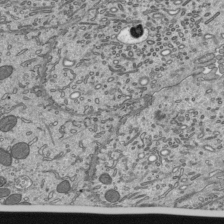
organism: Mouse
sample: Mouse epididymis efferent ductule cilia